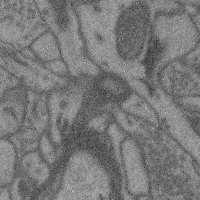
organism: Mouse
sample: Cerebral cortex